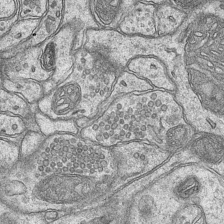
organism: Mouse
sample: CA1 Hippocampus